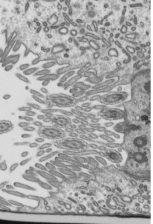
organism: Mouse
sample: Mouse epididymis efferent ductule cilia